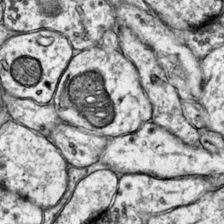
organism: Mouse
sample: Primary visual cortex